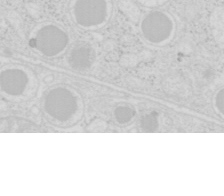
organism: Mouse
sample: Pancreas